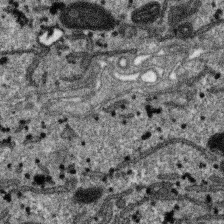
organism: Human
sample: Lung epithelial cells infected with SARS-CoV-2